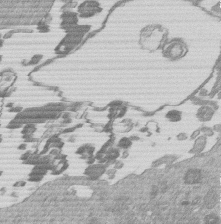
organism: Mouse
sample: Dividing mouse embryo 1 cell stage